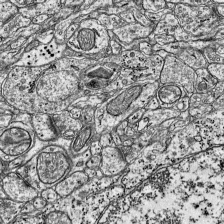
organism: Mouse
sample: Visual Cortex